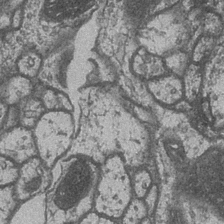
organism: Drosophila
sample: Optic medulla